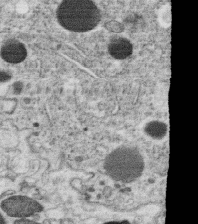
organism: C. elegans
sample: C. elegans oocyte; sperm cells